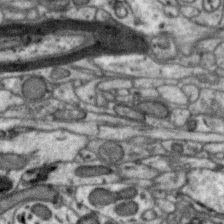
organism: Zebra finch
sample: Brain